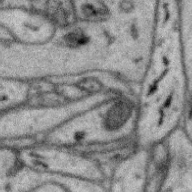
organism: Zebra finch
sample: Brain